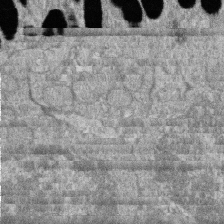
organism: Zebrafish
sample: Cilia; retinal pigment epithelium